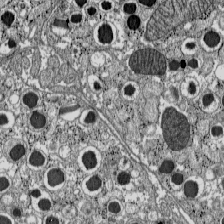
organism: C57BL Mouse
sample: Pancreatic islet